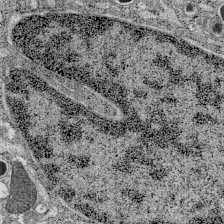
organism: C57BL Mouse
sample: Pancreatic islet